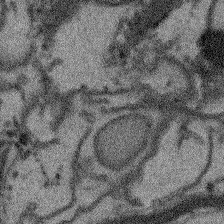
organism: Arabidopsis thaliana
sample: Root tip